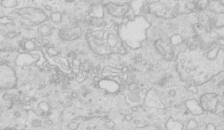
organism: Mouse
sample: Multiciliated cells